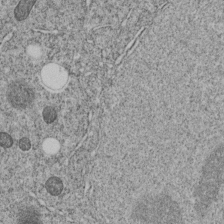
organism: C. elegans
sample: C. elegans embryo early stage